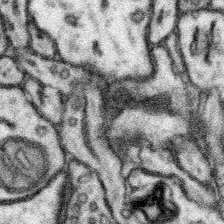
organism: Mouse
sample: Somatosensory cortex neuropil